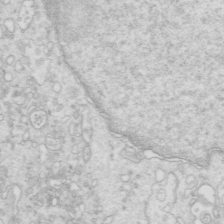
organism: Mouse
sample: Multiciliated cells